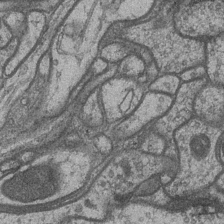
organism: Drosophila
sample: Optic medulla